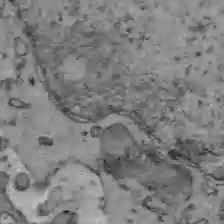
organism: C57BL Mouse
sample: Liver